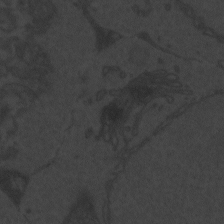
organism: Zebrafish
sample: Macrophage infected with Toxoplasma gondii